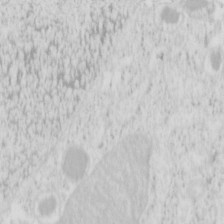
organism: Mouse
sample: Pancreas